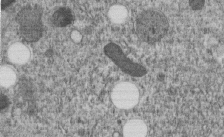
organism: C. elegans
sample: C. elegans embryo early stage